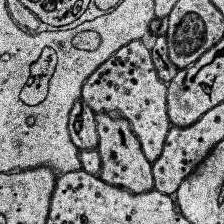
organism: Human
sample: Temporal Lobe